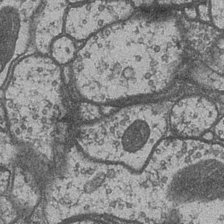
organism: Drosophila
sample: Optic medulla